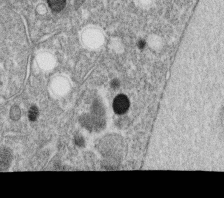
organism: C. elegans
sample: C. elegans oocyte; sperm cells